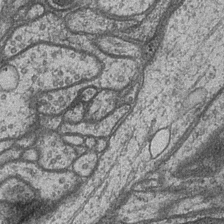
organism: Drosophila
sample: Optic medulla